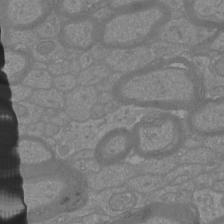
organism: Mouse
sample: Cortical neurons